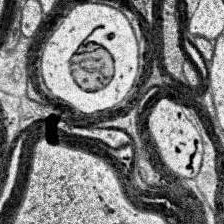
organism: Human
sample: Temporal Lobe